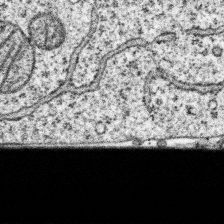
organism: Human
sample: HeLa cells